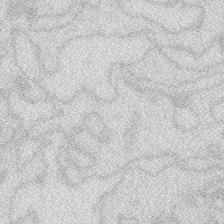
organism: Zebrafish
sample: Macrophage